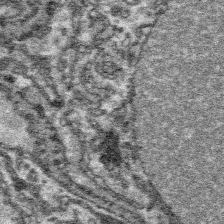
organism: Platynereis dumerilii